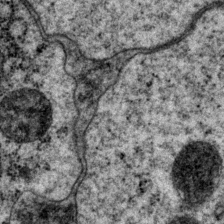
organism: P. pacificus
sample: Pharynx